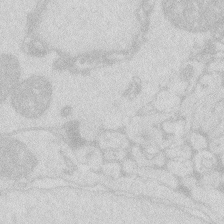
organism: Zebrafish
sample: Macrophage